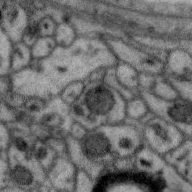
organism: Zebra finch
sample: Brain